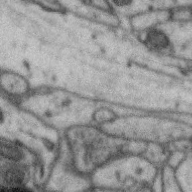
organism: Zebra finch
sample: Brain